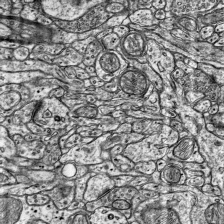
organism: Mouse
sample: Visual Cortex